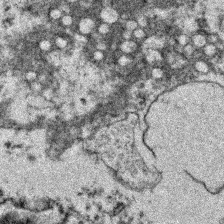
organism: Zebrafish